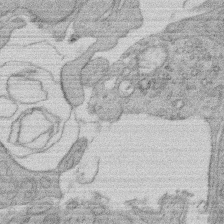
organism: Rat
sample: Salivary granule